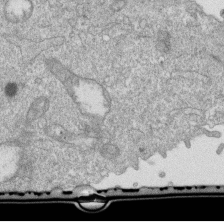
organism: Human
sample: HeLa cell HIV synapse